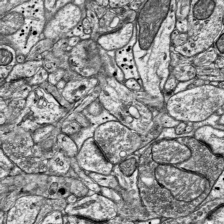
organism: Mouse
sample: Visual Cortex